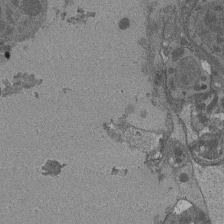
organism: Drosophila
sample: Antenna